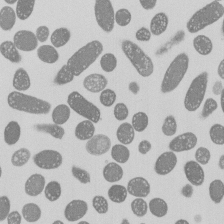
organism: E. coli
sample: Bacterial nucleoid